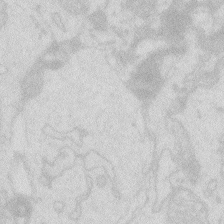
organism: Zebrafish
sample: Macrophage